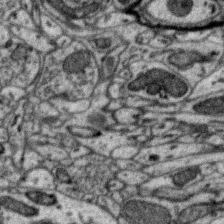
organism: Zebra finch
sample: Brain